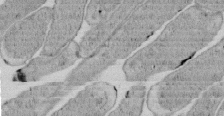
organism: E. coli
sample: Bacterial nucleoid